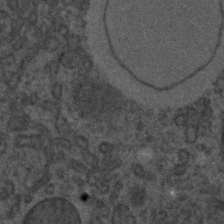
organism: C. elegans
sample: C. elegans embryo